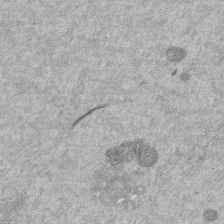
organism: Mouse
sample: Dividing mouse embryo 1 cell stage